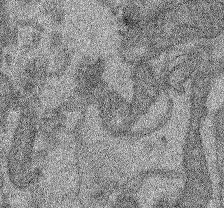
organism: Human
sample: HeLa cells